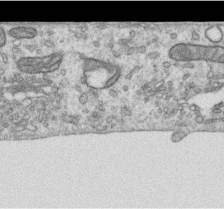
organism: Human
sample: Centriole in RPE cells